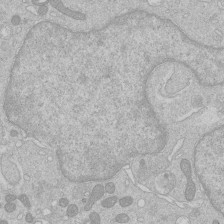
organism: Human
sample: Macrophage cells